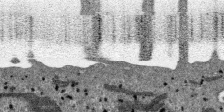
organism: Human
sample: Lung epithelial cells, uninfected (mock) control